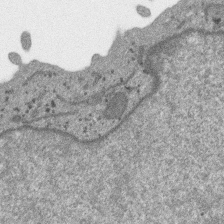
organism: Human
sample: Lung epithelial cells infected with SARS-CoV-2